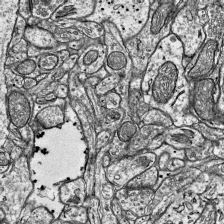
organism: Mouse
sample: Visual Cortex